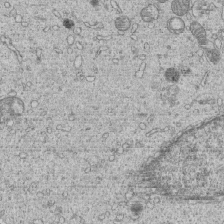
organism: Human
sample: MDA-MB-231 cells